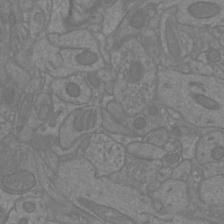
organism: Mouse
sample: Cortical neurons